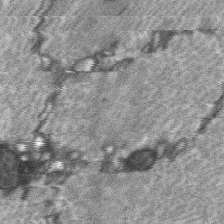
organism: C57BL Mouse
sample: Soleus